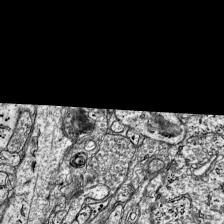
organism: Mouse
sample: Visual Cortex